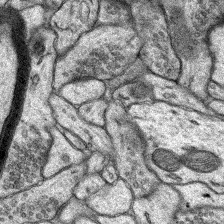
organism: Rat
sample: Hippocampus